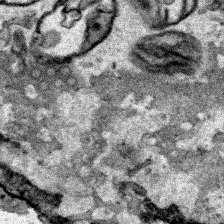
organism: Human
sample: Mitochondria in HCT116 cells